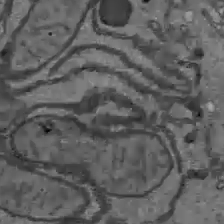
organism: C57BL Mouse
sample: Liver